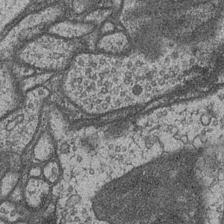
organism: Drosophila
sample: Optic medulla